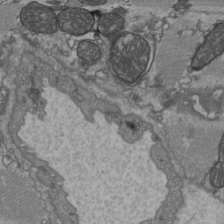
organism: C57BL Mouse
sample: Heart